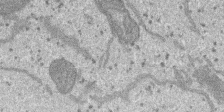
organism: Human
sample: Lung epithelial cells infected with SARS-CoV-2